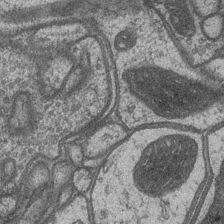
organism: Drosophila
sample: Optic medulla